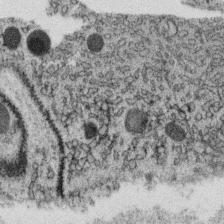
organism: C. elegans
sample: C. elegans oocyte; sperm cells